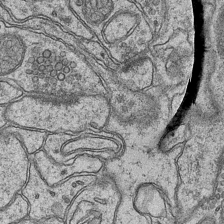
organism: Mouse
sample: CA1 Hippocampus